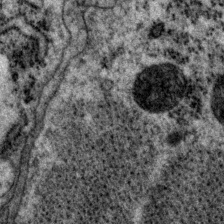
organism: P. pacificus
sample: Pharynx